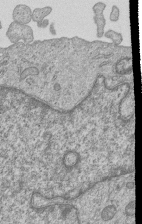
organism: Human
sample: MDA-MB-231 cells